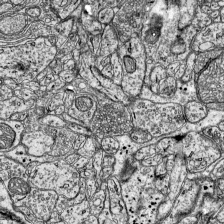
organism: Mouse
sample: Visual Cortex